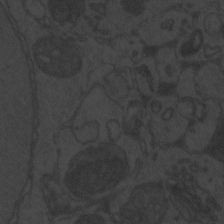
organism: Zebrafish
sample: Macrophage infected with Toxoplasma gondii